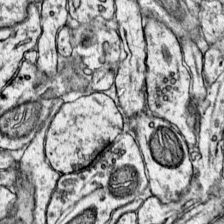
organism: Mouse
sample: Primary visual cortex